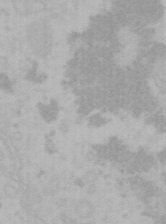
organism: Mouse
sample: Choroid plexus